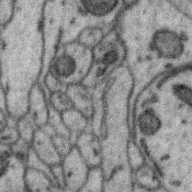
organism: Zebra finch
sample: Brain